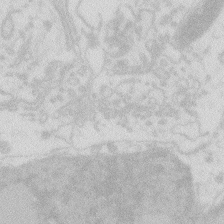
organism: Zebrafish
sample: Macrophage